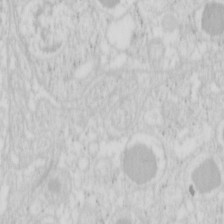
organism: Mouse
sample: Pancreas